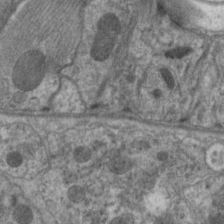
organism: C. elegans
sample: Pharynx